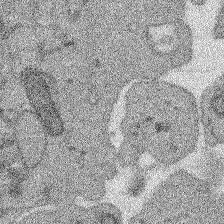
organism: Human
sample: HeLa cells